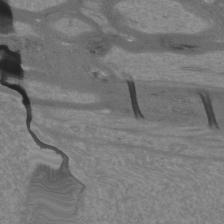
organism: Mouse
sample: Cortical neurons